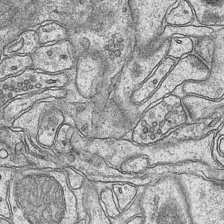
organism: Mouse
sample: CA1 Hippocampus